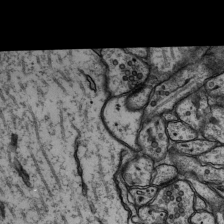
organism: Rat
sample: Hippocampus